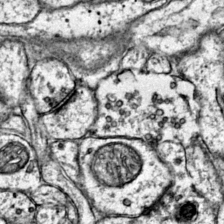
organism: Mouse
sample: Primary visual cortex